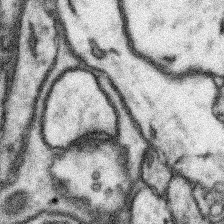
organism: Mouse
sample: Somatosensory cortex neuropil